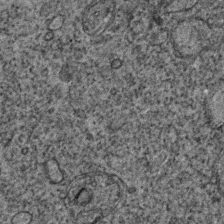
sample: Trachea